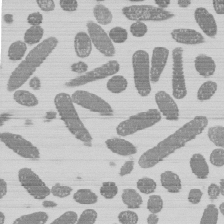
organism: E. coli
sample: Bacterial nucleoid